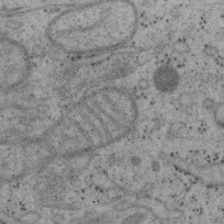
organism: Human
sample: HeLa cells